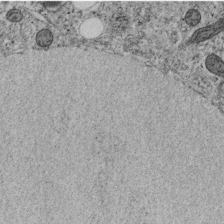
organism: C. elegans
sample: C. elegans embryo early stage